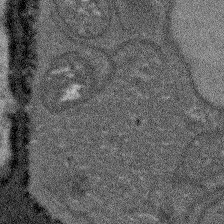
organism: Arabidopsis thaliana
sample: Root tip